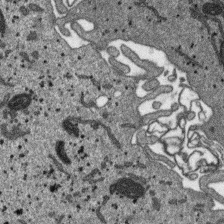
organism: Human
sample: Lung epithelial cells infected with SARS-CoV-2